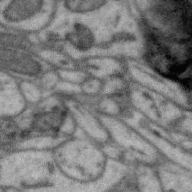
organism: Zebra finch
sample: Brain